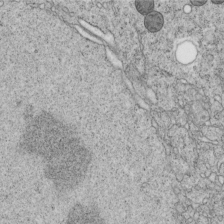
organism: C. elegans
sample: C. elegans embryo early stage